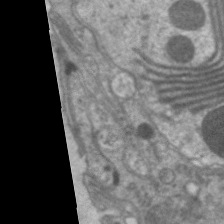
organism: C. elegans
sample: Pharynx